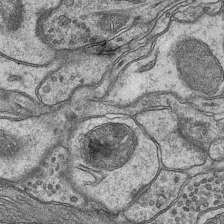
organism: Mouse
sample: CA1 Hippocampus